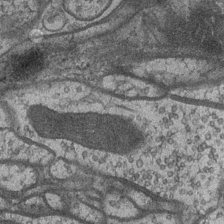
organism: Drosophila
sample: Optic medulla